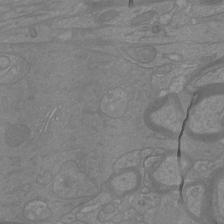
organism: Mouse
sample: Cortical neurons